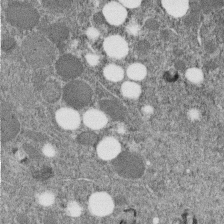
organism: C. elegans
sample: C. elegans embryo early stage